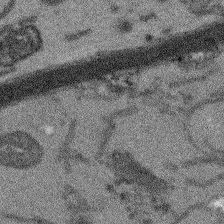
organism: Arabidopsis thaliana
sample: Root tip